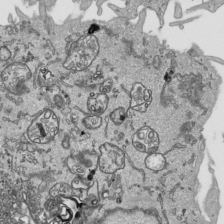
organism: Human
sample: Mitochondria in HCT116 cells